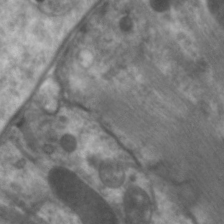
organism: C. elegans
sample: Pharynx